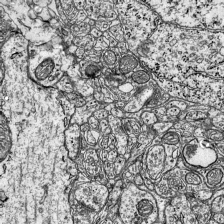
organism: Mouse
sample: Visual Cortex